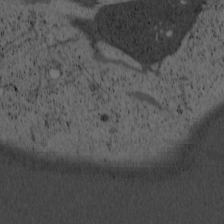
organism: African green monkey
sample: COS-7 cells